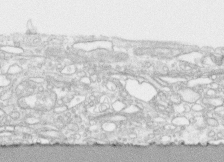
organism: Human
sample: CRL-1474